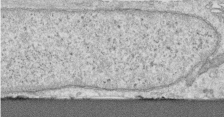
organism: Human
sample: Centriole in RPE cells